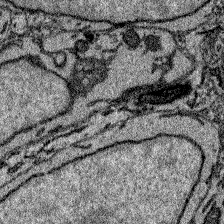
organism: Zebrafish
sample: Larval olfactory bulb